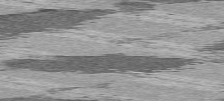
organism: C57BL Mouse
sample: Heart